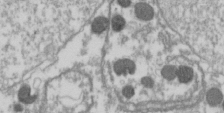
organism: Drosophila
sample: Cell division; meiosis; drosophila spermatocytes